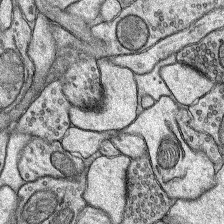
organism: Rat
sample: Hippocampus